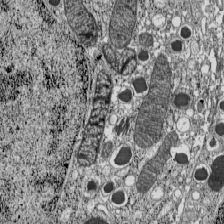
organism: C57BL Mouse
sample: Pancreatic islet